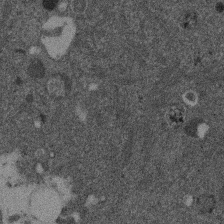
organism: Mouse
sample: Dividing mouse embryo 1 cell stage